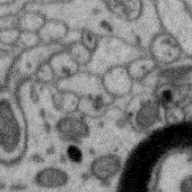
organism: Zebra finch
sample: Brain